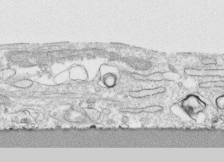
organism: Human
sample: CRL-1474